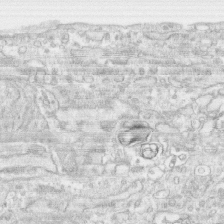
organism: Human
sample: CRL-1474